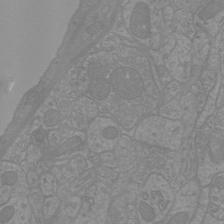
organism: Mouse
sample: Cortical neurons